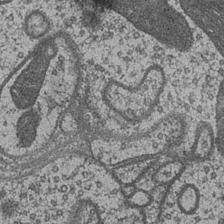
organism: Drosophila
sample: Optic medulla